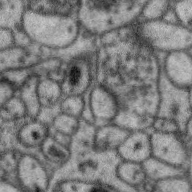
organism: Zebra finch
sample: Brain